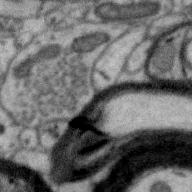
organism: Zebra finch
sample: Brain